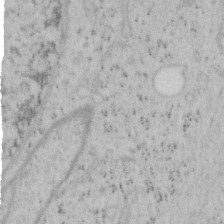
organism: Human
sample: HeLa cells